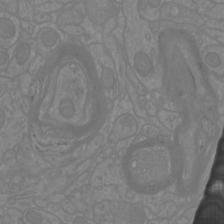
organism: Mouse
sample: Cortical neurons